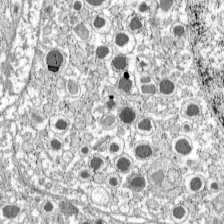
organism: C57BL Mouse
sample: Pancreatic islet